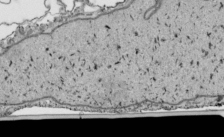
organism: Human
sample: Mitochondria in HCT116 cells